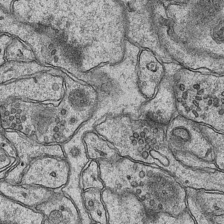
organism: Mouse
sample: CA1 Hippocampus